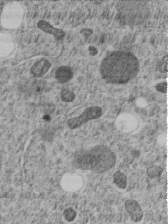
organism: C. elegans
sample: C. elegans embryo early stage